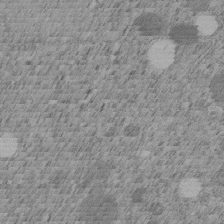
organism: C. elegans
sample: C. elegans embryo early stage